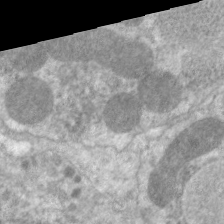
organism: C. elegans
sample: Pharynx